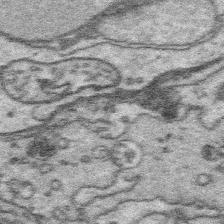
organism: Platynereis dumerilii